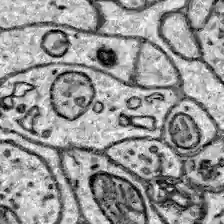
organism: Zebrafish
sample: Brain